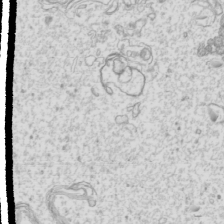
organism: Mouse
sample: Cilia; mouse epididymis